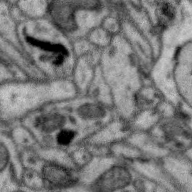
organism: Zebra finch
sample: Brain